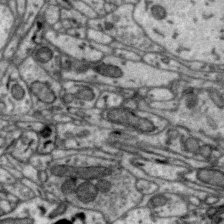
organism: Zebra finch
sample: Brain